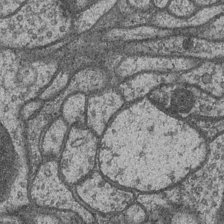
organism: Drosophila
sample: Optic medulla